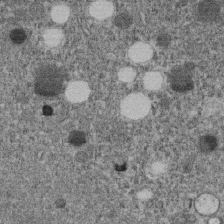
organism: C. elegans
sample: C. elegans embryo early stage